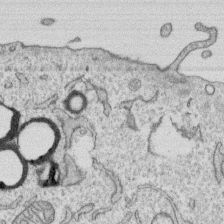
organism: Human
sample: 1205lu cells